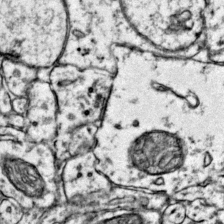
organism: Mouse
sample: Primary visual cortex